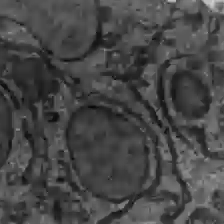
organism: C57BL Mouse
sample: Liver